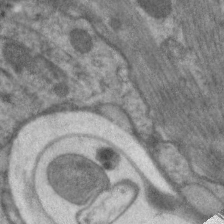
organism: C. elegans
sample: Pharynx